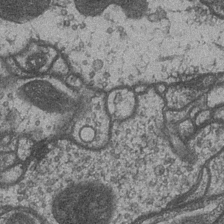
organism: Drosophila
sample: Optic medulla